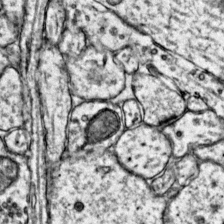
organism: Mouse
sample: Primary visual cortex